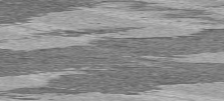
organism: C57BL Mouse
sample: Heart